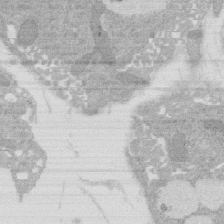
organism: Rat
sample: Salivary granule